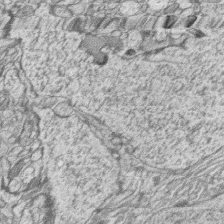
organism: Zebrafish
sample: synaptic ribbons in rod cells and cone cells